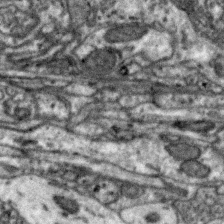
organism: Zebra finch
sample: Brain